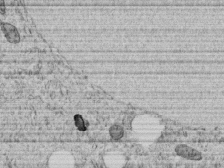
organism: C. elegans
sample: C. elegans embryo early stage